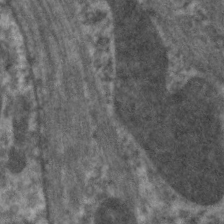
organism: C. elegans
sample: Pharynx